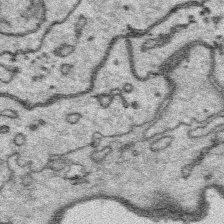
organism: Platynereis dumerilii